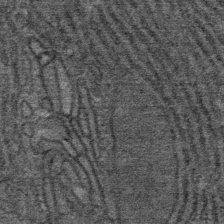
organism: Mouse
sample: Mouse Salivary gland